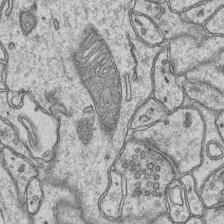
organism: Mouse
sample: CA1 Hippocampus